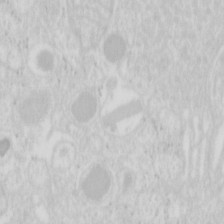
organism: Mouse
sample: Pancreas